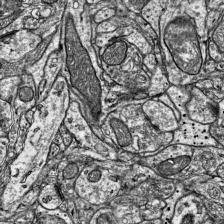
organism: Mouse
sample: Visual Cortex